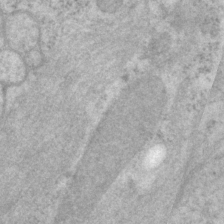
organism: P. pacificus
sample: Pharynx